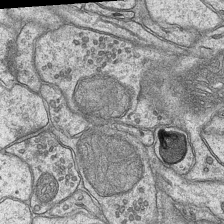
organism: Mouse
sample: CA1 Hippocampus